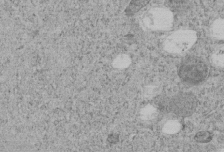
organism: C. elegans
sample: C. elegans embryo early stage